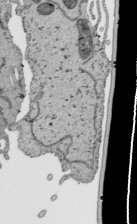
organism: Human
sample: Mitochondria in HCT116 cells